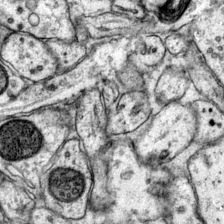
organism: Mouse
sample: Primary visual cortex